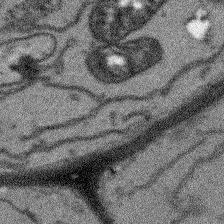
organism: Arabidopsis thaliana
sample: Root tip